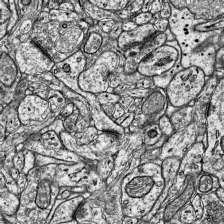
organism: Mouse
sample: Visual Cortex